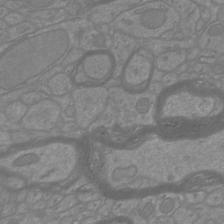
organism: Mouse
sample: Cortical neurons